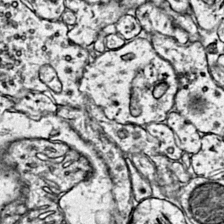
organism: Mouse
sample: Primary visual cortex